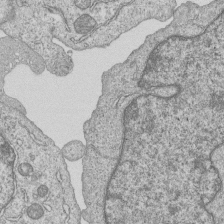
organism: Human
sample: MDA-MB-231 cells